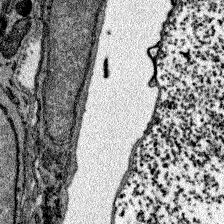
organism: Zebrafish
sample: Larval olfactory bulb